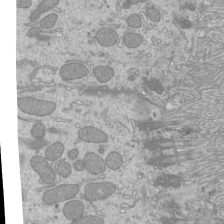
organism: Mouse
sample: Cilia; mouse epididymis